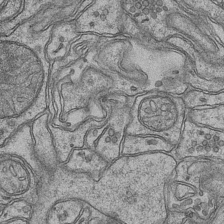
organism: Mouse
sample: CA1 Hippocampus